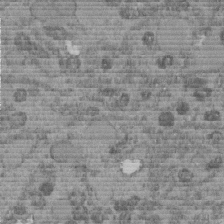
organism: C. elegans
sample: C. elegans embryo early stage